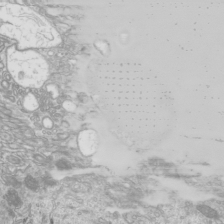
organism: Mouse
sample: Cilia; mouse epididymis